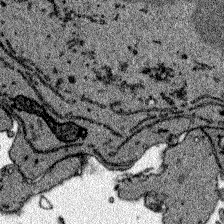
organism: Zebrafish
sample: Larval olfactory bulb